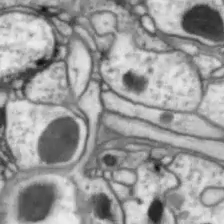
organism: Drosophila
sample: Optic lobe